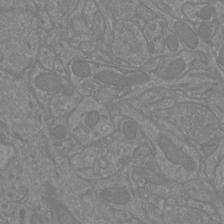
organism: Mouse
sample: Cortical neurons